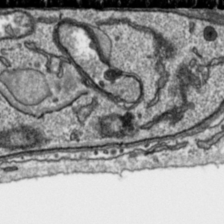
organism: Toxoplasma gondii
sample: Parasites in a vacuole inside a host cell